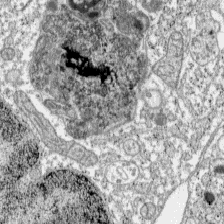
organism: C57BL Mouse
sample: Pancreatic islet